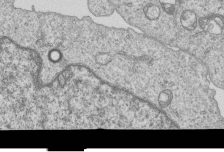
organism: Human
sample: MDA-MB-231 cells